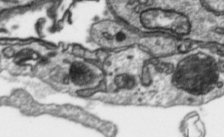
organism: Toxoplasma gondii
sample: Parasites in a vacuole inside a host cell